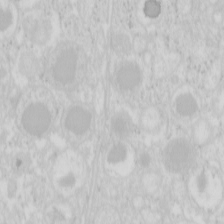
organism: Mouse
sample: Pancreas